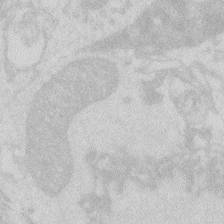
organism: Zebrafish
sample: Macrophage